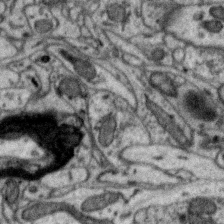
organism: Zebra finch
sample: Brain